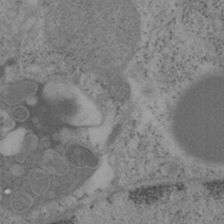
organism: Mouse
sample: OT-I killer T cells with ID8 ovarian cancer cells